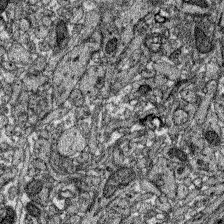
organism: Zebrafish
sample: Larval olfactory bulb